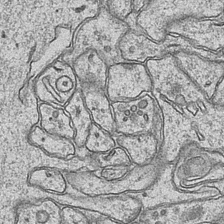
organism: Mouse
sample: CA1 Hippocampus